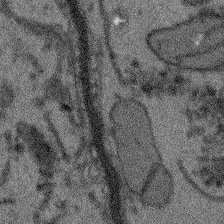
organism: Arabidopsis thaliana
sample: Root tip